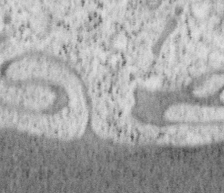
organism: Mouse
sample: OT-I killer T cells with ID8 ovarian cancer cells